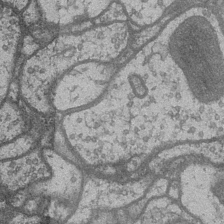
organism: Drosophila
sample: Optic medulla